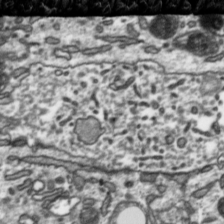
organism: Toxoplasma gondii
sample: Parasites in a vacuole inside a host cell